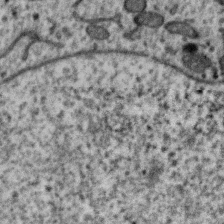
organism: Zebra finch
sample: Brain